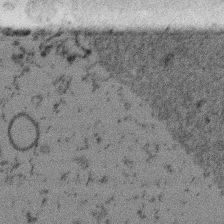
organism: Mouse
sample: Dividing mouse embryo 1 cell stage